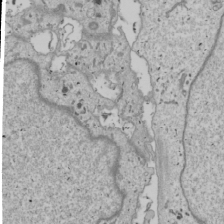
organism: Human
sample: Mitochondria in U2OS cells